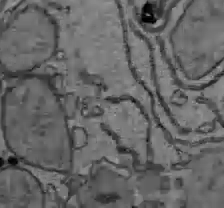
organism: C57BL Mouse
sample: Liver